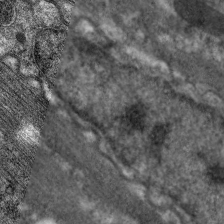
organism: C. elegans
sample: Pharynx